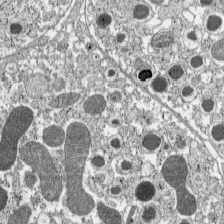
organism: C57BL Mouse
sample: Pancreatic islet